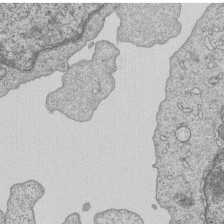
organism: Human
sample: MDA-MB-231 cells